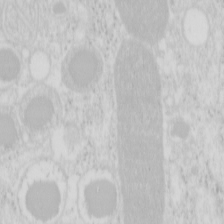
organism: Mouse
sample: Pancreas